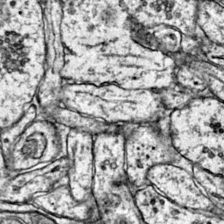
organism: Mouse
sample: Primary visual cortex